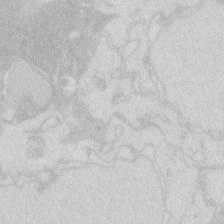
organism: Zebrafish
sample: Macrophage